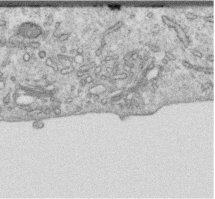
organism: Human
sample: Centriole in RPE cells